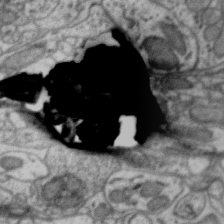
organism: Zebra finch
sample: Brain